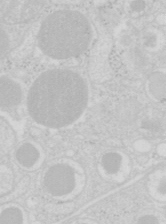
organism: Mouse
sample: Pancreas